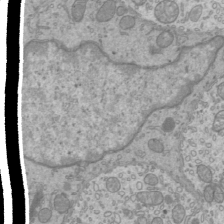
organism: Mouse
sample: Cilia; mouse epididymis